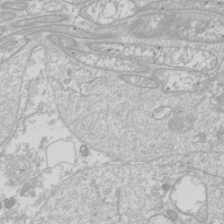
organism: Drosophila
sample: Cell division; meiosis; drosophila spermatocytes